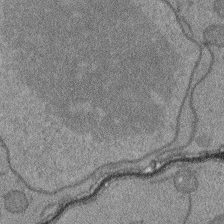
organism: Arabidopsis thaliana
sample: Root tip